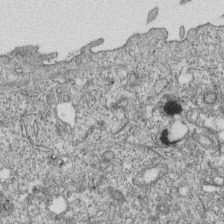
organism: Human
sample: HeLa cell HIV synapse